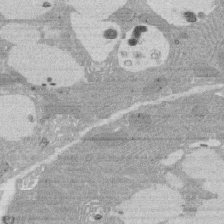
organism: Rat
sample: Salivary granule